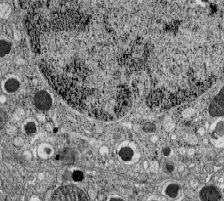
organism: C57BL Mouse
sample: Pancreatic islet